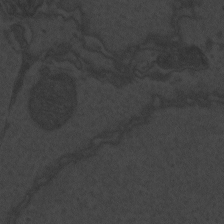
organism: Zebrafish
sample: Macrophage infected with Toxoplasma gondii